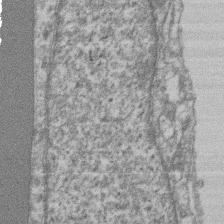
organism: Mouse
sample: T cell stromal cell synapse